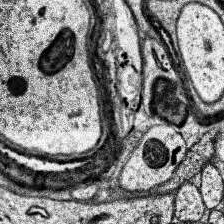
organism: Human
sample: Temporal Lobe